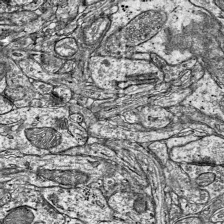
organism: Mouse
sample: Visual Cortex